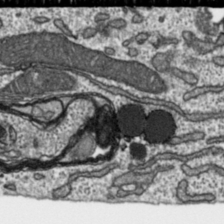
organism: Toxoplasma gondii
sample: Parasites in a vacuole inside a host cell